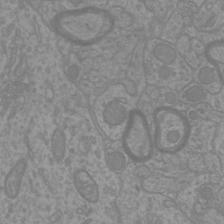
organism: Mouse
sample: Cortical neurons